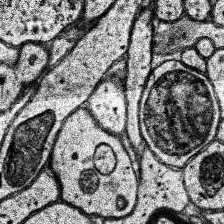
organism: Human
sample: Temporal Lobe